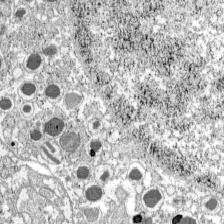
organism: C57BL Mouse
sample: Pancreatic islet